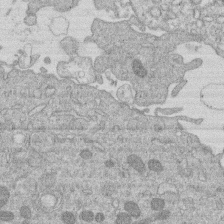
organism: Human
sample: Macrophage cells